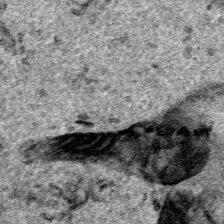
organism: Human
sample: Mitochondria in HCT116 cells